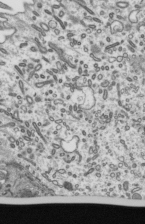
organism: Mouse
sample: Mouse epididymis efferent ductule cilia